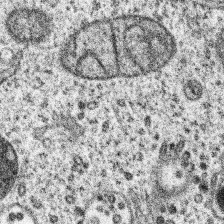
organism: Human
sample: HeLa cells